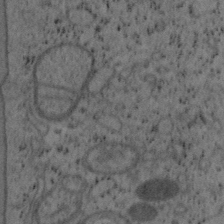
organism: Human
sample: HeLa cells